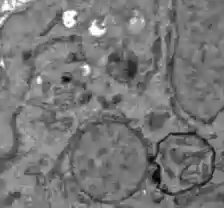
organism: C57BL Mouse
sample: Liver